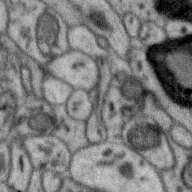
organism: Zebra finch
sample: Brain